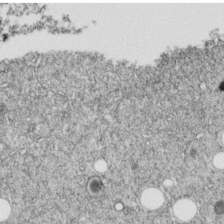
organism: C. elegans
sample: C. elegans embryo early stage